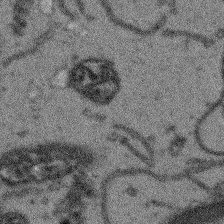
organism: Arabidopsis thaliana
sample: Root tip